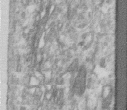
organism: Human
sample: Centriole in RPE cells